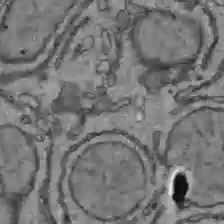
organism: C57BL Mouse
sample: Liver